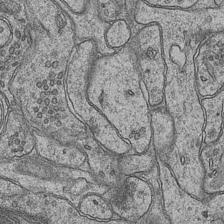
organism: Mouse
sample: CA1 Hippocampus